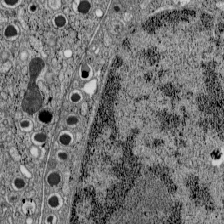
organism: C57BL Mouse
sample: Pancreatic islet